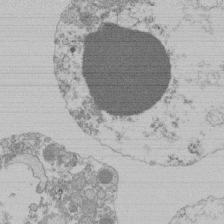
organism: Mouse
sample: Activated Pmel transgenic CD8+ T Cells